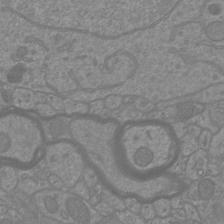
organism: Mouse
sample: Cortical neurons